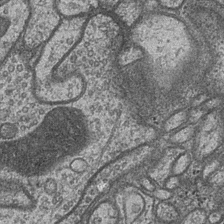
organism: Drosophila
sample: Optic medulla